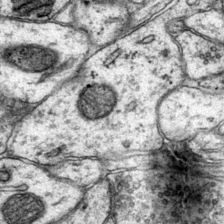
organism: Mouse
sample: Primary visual cortex